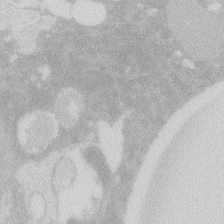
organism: Zebrafish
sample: Macrophage